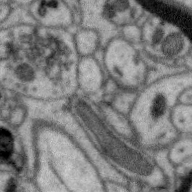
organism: Zebra finch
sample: Brain